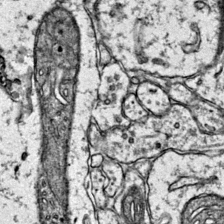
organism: Mouse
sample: Primary visual cortex